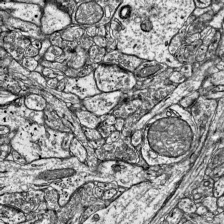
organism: Mouse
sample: Visual Cortex